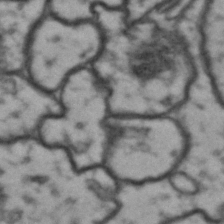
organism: Drosophila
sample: Brain